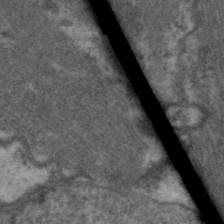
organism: C. elegans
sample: Pharynx